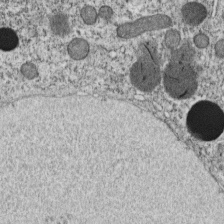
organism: C. elegans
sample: C. elegans embryo early stage